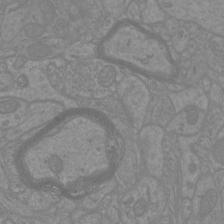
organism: Mouse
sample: Cortical neurons